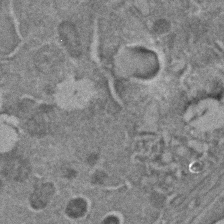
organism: C. elegans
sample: C. elegans embryo